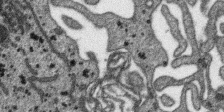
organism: Human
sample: Lung epithelial cells infected with SARS-CoV-2